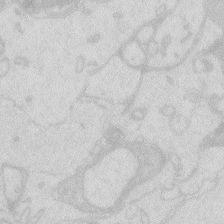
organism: Zebrafish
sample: Macrophage